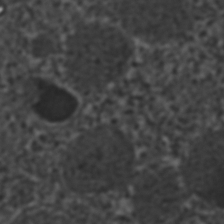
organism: C. elegans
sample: C. elegans embryo